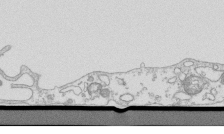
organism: Mouse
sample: Macrophages